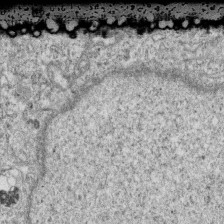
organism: Human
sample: HeLa cell HIV synapse